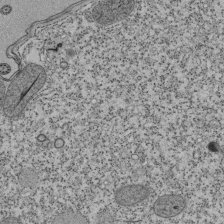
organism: Tetrahymena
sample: Cilia in tetrahymena